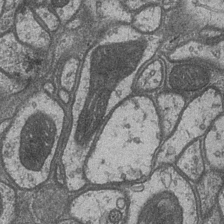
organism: Drosophila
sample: Optic medulla